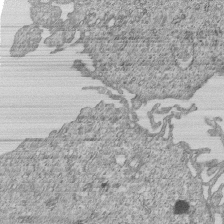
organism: Human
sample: MDA-MB-231 cells